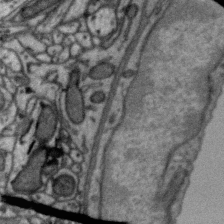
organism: Zebra finch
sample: Brain